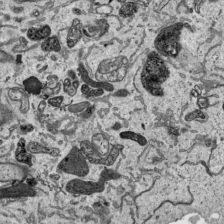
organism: Human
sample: Mitochondria in HCT116 cells